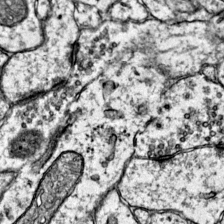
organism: Mouse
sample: Primary visual cortex